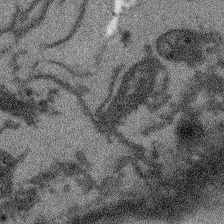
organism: Arabidopsis thaliana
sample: Root tip